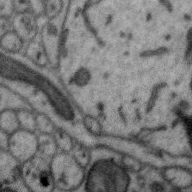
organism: Zebra finch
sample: Brain